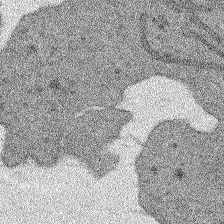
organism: Human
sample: HeLa cells